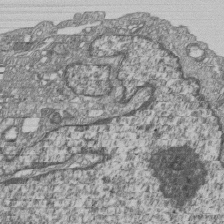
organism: Human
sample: MDA-MB-231 cells